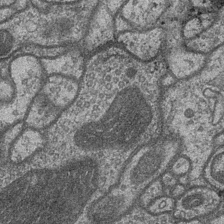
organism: Drosophila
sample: Optic medulla